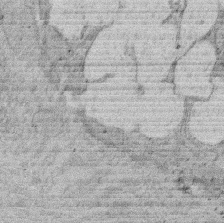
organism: Rat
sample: Salivary granule